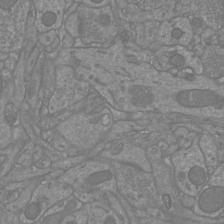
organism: Mouse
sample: Cortical neurons